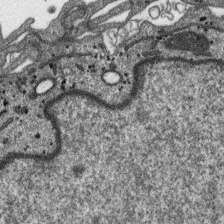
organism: Human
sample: Lung epithelial cells infected with SARS-CoV-2